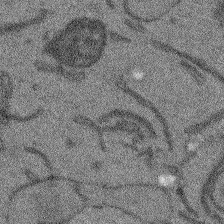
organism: Arabidopsis thaliana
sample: Root tip